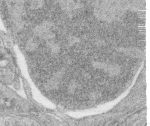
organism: Zebrafish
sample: synaptic ribbons in rod cells and cone cells